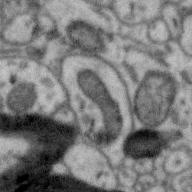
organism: Zebra finch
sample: Brain